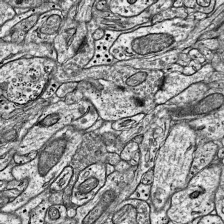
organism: Mouse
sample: Visual Cortex